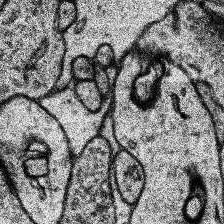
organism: Human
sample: Temporal Lobe